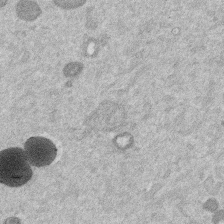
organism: Mouse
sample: Dividing mouse embryo 1 cell stage